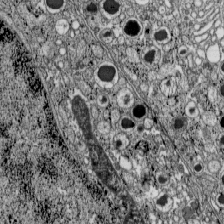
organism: C57BL Mouse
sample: Pancreatic islet